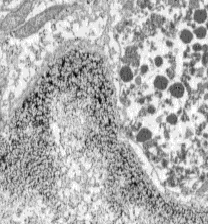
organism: C57BL Mouse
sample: Pancreatic islet